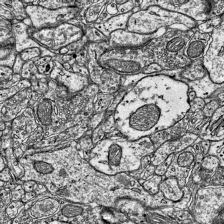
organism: Mouse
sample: Visual Cortex